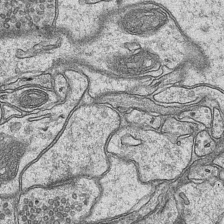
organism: Mouse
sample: CA1 Hippocampus